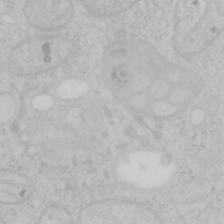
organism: Mouse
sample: OT-I killer T cells with ID8 ovarian cancer cells